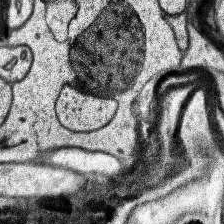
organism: Human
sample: Temporal Lobe